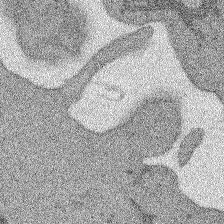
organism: Human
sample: HeLa cells